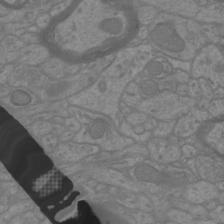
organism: Mouse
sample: Cortical neurons